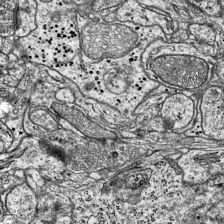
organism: Mouse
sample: Visual Cortex